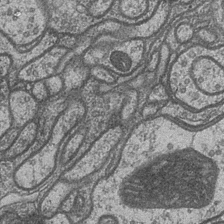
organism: Drosophila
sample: Optic medulla